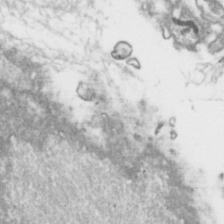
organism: Toxoplasma gondii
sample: Parasites in a vacuole inside a host cell